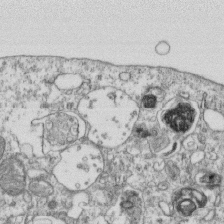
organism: Mouse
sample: Activated OT-1 CD8+ T cells